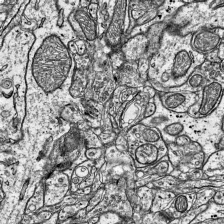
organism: Mouse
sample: Visual Cortex